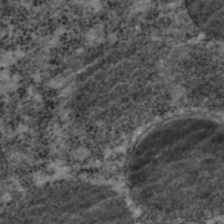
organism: C. elegans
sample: C. elegans embryo